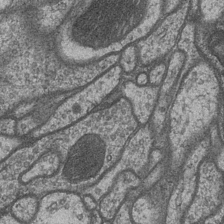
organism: Drosophila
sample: Optic medulla